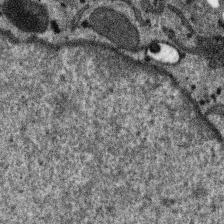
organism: Human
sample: Lung epithelial cells infected with SARS-CoV-2